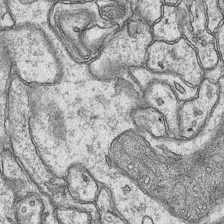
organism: Mouse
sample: CA1 Hippocampus